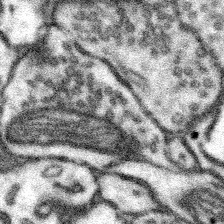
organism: Mouse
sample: Somatosensory cortex neuropil